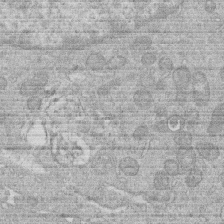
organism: Human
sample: Macrophage cells